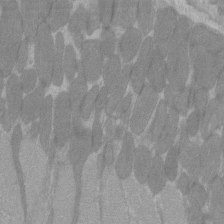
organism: C57BL Mouse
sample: Tibialis anterior muscle cell